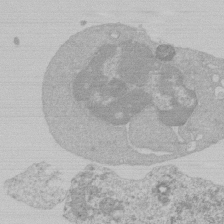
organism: Mouse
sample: Activated Pmel transgenic CD8+ T Cells